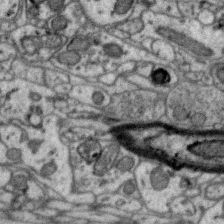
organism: Zebra finch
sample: Brain